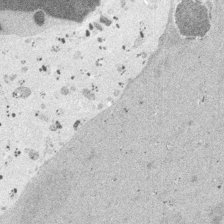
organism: Embia sp.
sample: Silk gland